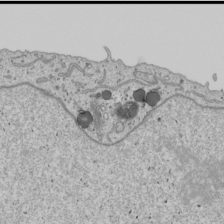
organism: Human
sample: Mitochondria in U2OS cells